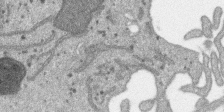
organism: Human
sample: Lung epithelial cells infected with SARS-CoV-2